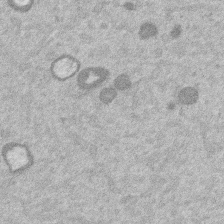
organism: Mouse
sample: Dividing mouse embryo 1 cell stage